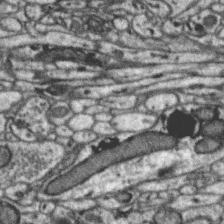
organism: Zebra finch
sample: Brain